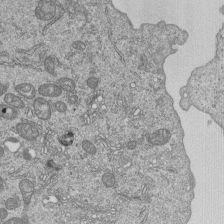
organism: Human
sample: MDA-MB-231 cells